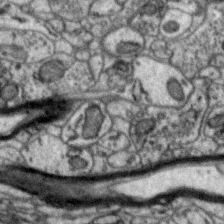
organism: Zebra finch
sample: Brain